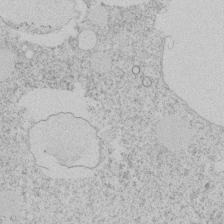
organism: Tetrahymena